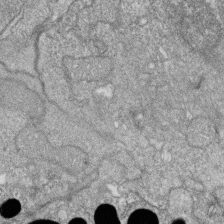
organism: Zebrafish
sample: Cilia; retinal pigment epithelium